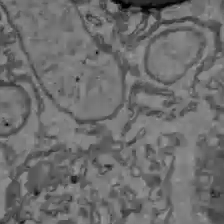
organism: C57BL Mouse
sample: Liver